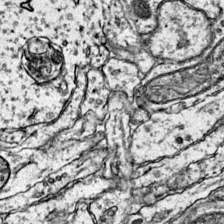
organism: Mouse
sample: Primary visual cortex